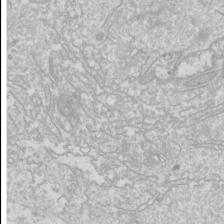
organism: Drosophila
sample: Cell division; meiosis; drosophila spermatocytes